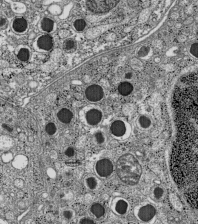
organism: C57BL Mouse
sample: Pancreatic islet